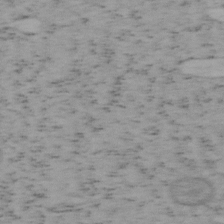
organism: Mouse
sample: OT-I killer T cells with ID8 ovarian cancer cells